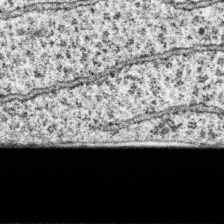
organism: Human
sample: HeLa cells